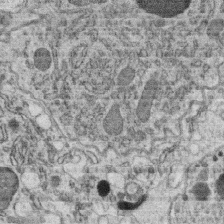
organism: C. elegans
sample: C. elegans oocyte; sperm cells